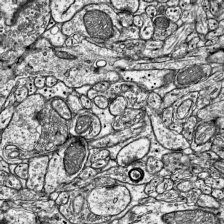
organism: Mouse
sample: Visual Cortex